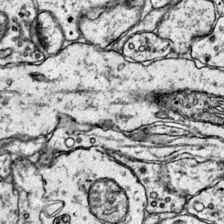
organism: Mouse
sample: Primary visual cortex